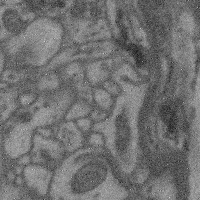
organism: Mouse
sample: Cerebral cortex